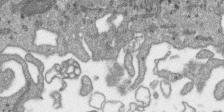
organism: Human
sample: Lung epithelial cells infected with SARS-CoV-2